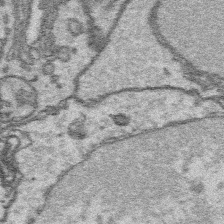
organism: Platynereis dumerilii